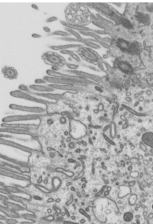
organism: Mouse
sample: Mouse epididymis efferent ductule cilia